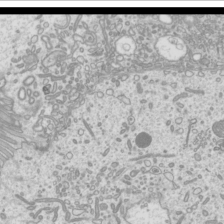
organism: Mouse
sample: Cilia; mouse epididymis